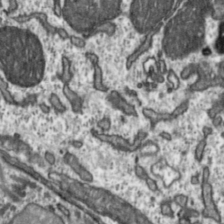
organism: Toxoplasma gondii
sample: Parasites in a vacuole inside a host cell